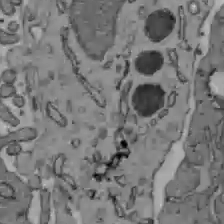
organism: C57BL Mouse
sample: Liver